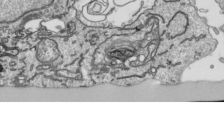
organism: Human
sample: Mitochondria in HCT116 cells